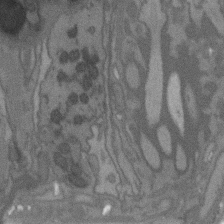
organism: C. elegans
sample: AFD neurons C. elegans